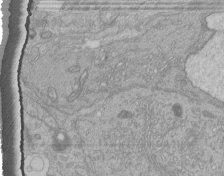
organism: Human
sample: Retinal organoid Rod and Cone cells